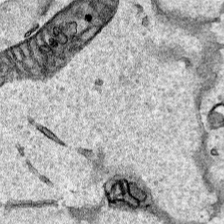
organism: Human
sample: Mitochondria in HCT116 cells